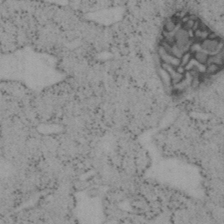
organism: Mouse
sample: OT-I killer T cells with ID8 ovarian cancer cells